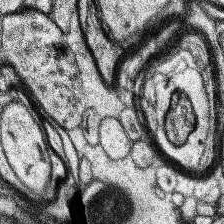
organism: Human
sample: Temporal Lobe